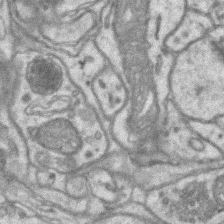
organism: Mouse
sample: CA1 Hippocampus